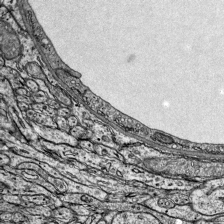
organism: Mouse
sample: Visual Cortex